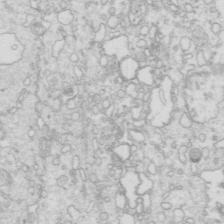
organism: Mouse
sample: Multiciliated cells